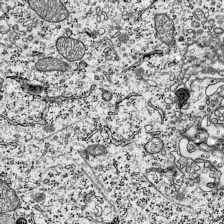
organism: Mouse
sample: Visual Cortex